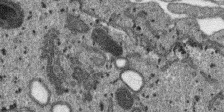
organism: Human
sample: Lung epithelial cells infected with SARS-CoV-2